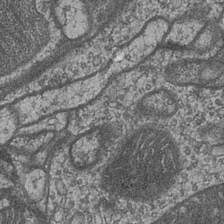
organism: Drosophila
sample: Optic medulla